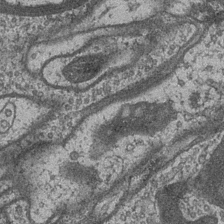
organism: Drosophila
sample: Optic medulla